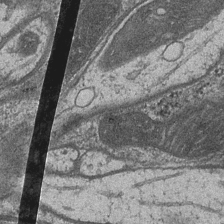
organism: Drosophila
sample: Optic medulla